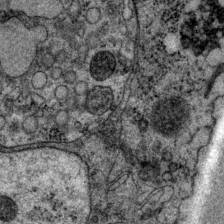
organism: P. pacificus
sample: Pharynx